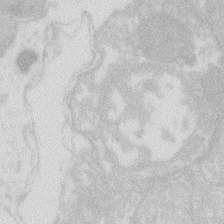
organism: Zebrafish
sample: Macrophage